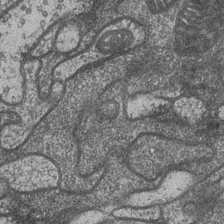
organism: Drosophila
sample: Optic medulla